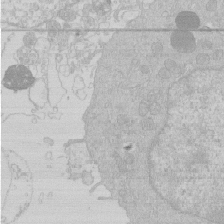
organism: Human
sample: Macrophage cells